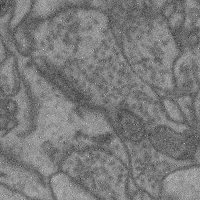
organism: Mouse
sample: Cerebral cortex